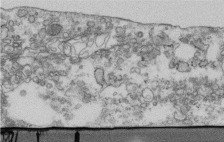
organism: Human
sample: Centriole in fibroblast cells